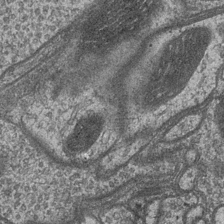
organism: Drosophila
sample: Optic medulla